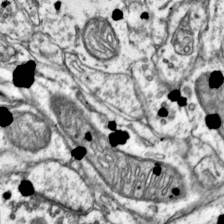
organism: Mouse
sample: Primary visual cortex